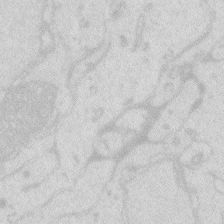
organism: Zebrafish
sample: Macrophage